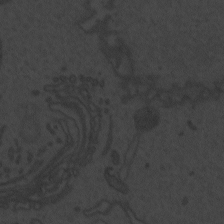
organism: Zebrafish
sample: Macrophage infected with Toxoplasma gondii